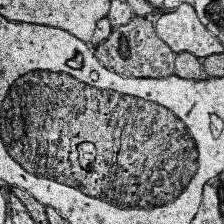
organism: Human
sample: Temporal Lobe